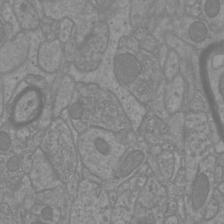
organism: Mouse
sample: Cortical neurons